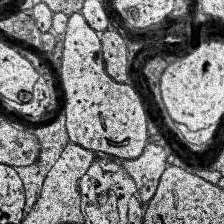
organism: Human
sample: Temporal Lobe